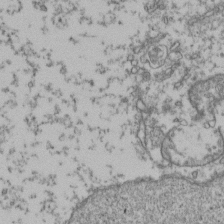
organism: Human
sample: Activated Jurkat CD4+ T cells